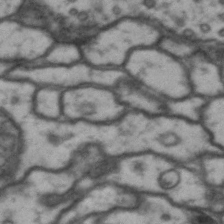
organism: Drosophila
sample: Brain